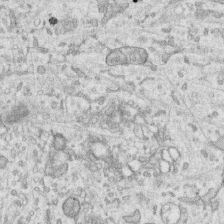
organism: Human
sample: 1205lu cells